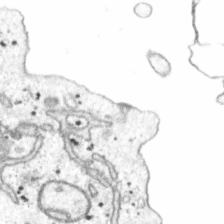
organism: Human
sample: HeLa cells